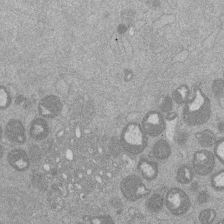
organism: Mouse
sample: Dividing mouse embryo 1 cell stage